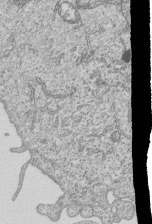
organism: Human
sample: MDA-MB-231 cells